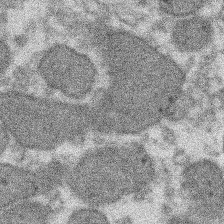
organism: Xenopus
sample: Cilia; centrioles in frog embryo cells